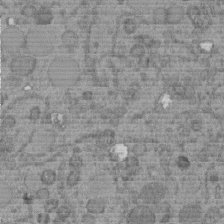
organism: C. elegans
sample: C. elegans embryo early stage